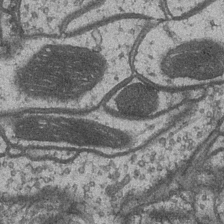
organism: Drosophila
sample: Optic medulla